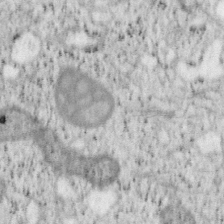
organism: Mouse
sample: OT-I killer T cells with ID8 ovarian cancer cells